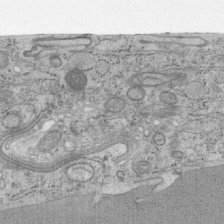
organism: Human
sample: HeLa cells